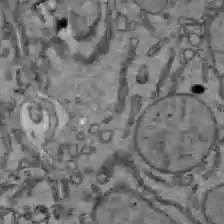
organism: C57BL Mouse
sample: Liver